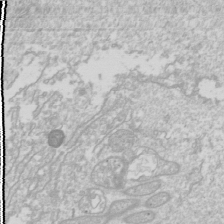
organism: Drosophila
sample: Cell division; meiosis; drosophila spermatocytes